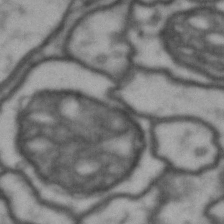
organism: Drosophila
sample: Brain